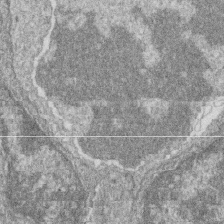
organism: Zebrafish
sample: Cilia; retinal pigment epithelium